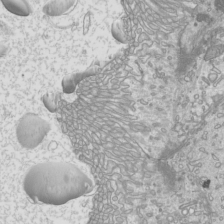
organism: Mouse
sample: Cilia; mouse epididymis